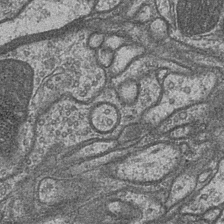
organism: Drosophila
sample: Optic medulla